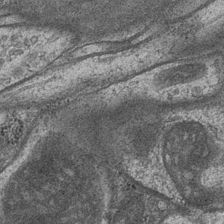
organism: Drosophila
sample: Optic medulla